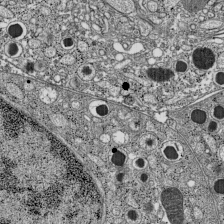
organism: C57BL Mouse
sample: Pancreatic islet